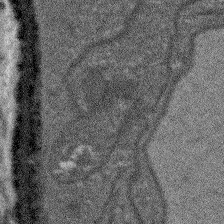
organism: Arabidopsis thaliana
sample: Root tip